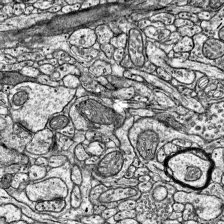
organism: Mouse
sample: Visual Cortex